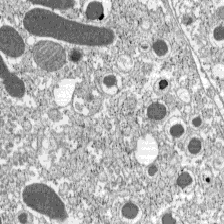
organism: C57BL Mouse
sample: Pancreatic islet